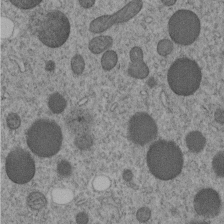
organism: C. elegans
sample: C. elegans embryo early stage